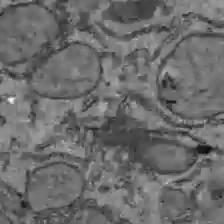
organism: C57BL Mouse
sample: Liver